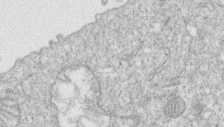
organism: Human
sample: HeLa cell HIV synapse